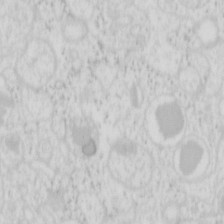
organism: Mouse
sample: Pancreas